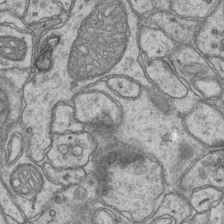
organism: Mouse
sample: CA1 Hippocampus